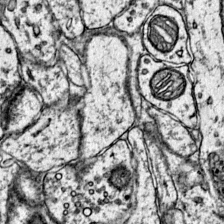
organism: Mouse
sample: Primary visual cortex